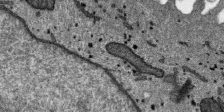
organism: Human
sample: Lung epithelial cells, uninfected (mock) control